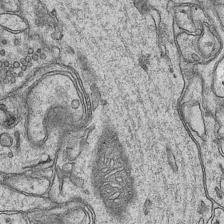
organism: Mouse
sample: CA1 Hippocampus